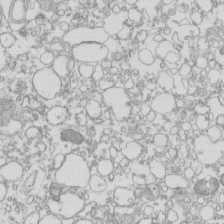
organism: Mouse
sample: Macrophages